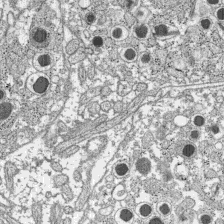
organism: C57BL Mouse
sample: Pancreatic islet